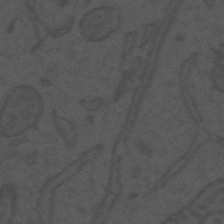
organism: Mouse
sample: Suprachiasmatic nucleus